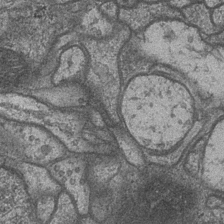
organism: Drosophila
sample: Optic medulla